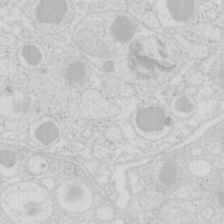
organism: Mouse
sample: Pancreas